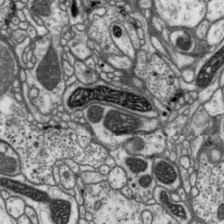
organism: Drosophila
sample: Protocerebral bridge